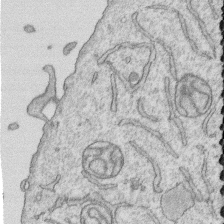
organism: Human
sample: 1205lu cells